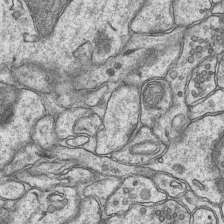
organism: Mouse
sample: CA1 Hippocampus